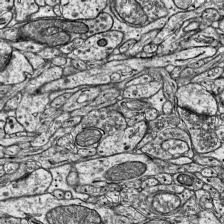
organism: Mouse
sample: Visual Cortex